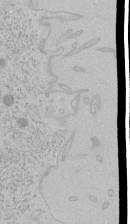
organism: Human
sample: Mitochondria in HCT116 cells